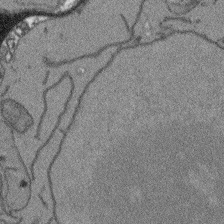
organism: Arabidopsis thaliana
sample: Root tip